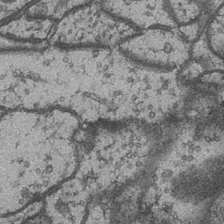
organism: Drosophila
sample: Optic medulla